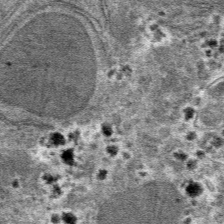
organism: Mouse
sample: Mouse hepatocytes